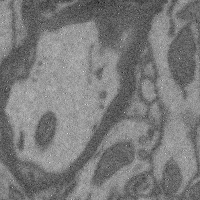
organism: Mouse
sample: Cerebral cortex